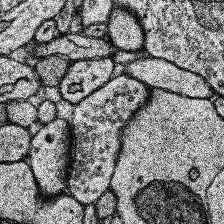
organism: Human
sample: Temporal Lobe